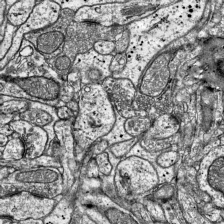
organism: Mouse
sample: Visual Cortex